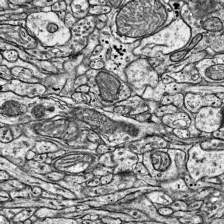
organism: Mouse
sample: Visual Cortex